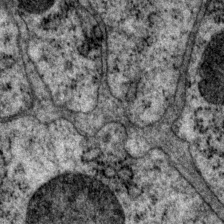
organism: P. pacificus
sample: Pharynx